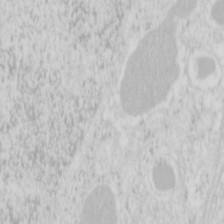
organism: Mouse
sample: Pancreas